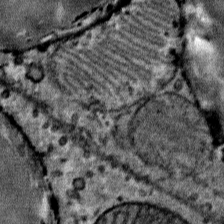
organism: Mouse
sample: Mouse Salivary gland